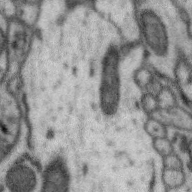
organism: Zebra finch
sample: Brain